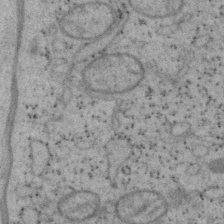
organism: Human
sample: HeLa cells